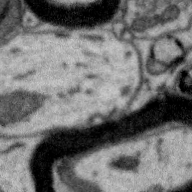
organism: Zebra finch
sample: Brain